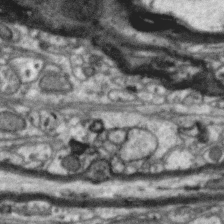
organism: Zebra finch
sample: Brain